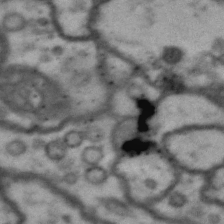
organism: Drosophila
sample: Brain